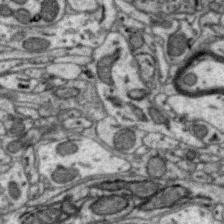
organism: Zebra finch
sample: Brain